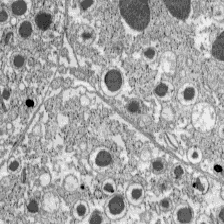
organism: C57BL Mouse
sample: Pancreatic islet